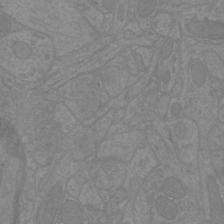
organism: Mouse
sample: Cortical neurons